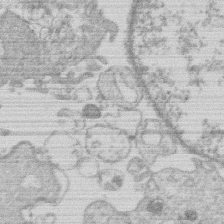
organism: Human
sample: Macrophage cells